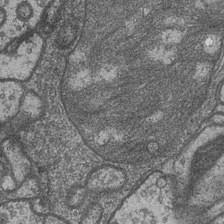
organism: Drosophila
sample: Optic medulla